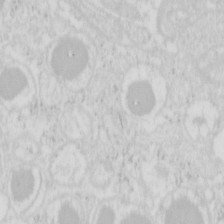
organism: Mouse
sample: Pancreas